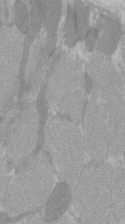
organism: C57BL Mouse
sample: Tibialis anterior muscle cell